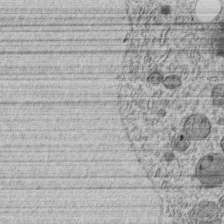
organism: C. elegans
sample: C. elegans embryo early stage